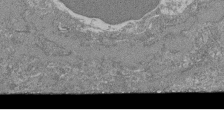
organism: Mouse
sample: Glomerulus